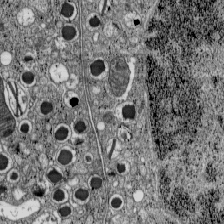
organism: C57BL Mouse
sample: Pancreatic islet